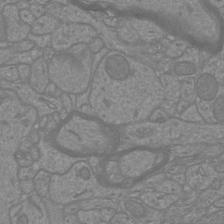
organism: Mouse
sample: Cortical neurons